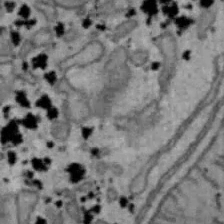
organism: Mouse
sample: Liver